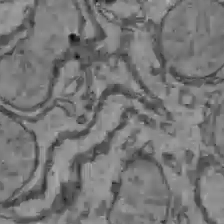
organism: C57BL Mouse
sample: Liver